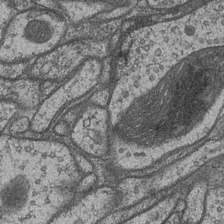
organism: Drosophila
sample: Optic medulla